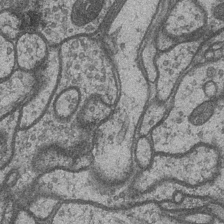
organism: Drosophila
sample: Optic medulla